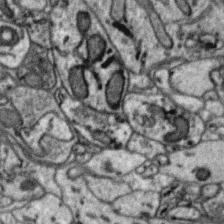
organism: Zebra finch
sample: Brain